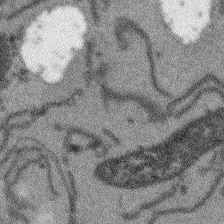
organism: Arabidopsis thaliana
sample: Root tip